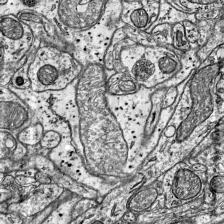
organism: Mouse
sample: Visual Cortex